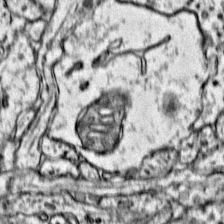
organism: Mouse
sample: Primary visual cortex